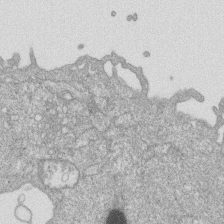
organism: Human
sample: HeLa cell HIV synapse